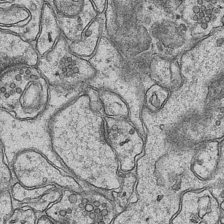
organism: Mouse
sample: CA1 Hippocampus